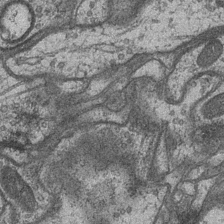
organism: Drosophila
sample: Optic medulla